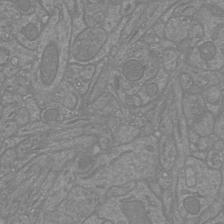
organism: Mouse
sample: Cortical neurons